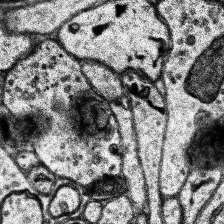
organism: Human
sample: Temporal Lobe